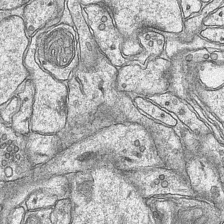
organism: Mouse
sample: CA1 Hippocampus